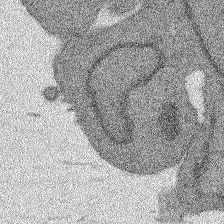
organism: Human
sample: HeLa cells